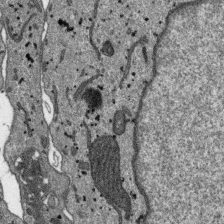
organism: Human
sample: Lung epithelial cells, uninfected (mock) control